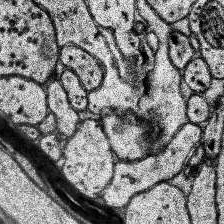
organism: Human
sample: Temporal Lobe